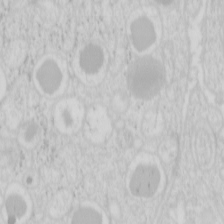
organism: Mouse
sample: Pancreas